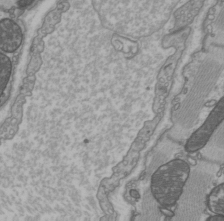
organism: C57BL Mouse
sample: Heart